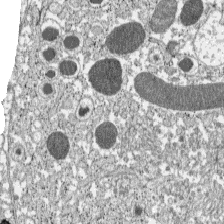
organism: C57BL Mouse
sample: Pancreatic islet